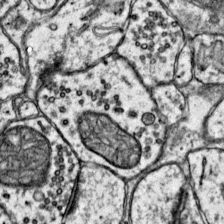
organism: Mouse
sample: Primary visual cortex